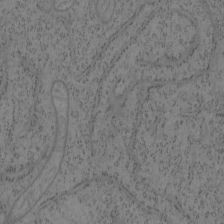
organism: Mouse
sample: OT-I killer T cells with ID8 ovarian cancer cells